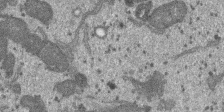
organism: Human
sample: Lung epithelial cells infected with SARS-CoV-2